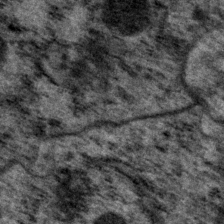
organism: P. pacificus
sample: Pharynx